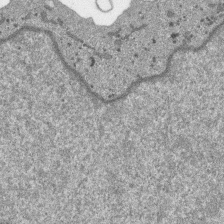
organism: Human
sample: Lung epithelial cells infected with SARS-CoV-2